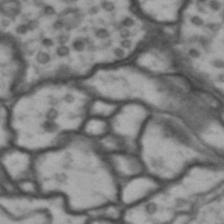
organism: Drosophila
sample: Brain